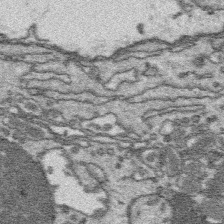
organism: Platynereis dumerilii